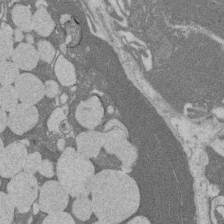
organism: Rat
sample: Salivary granule